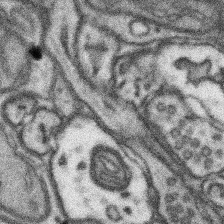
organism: Mouse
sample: Somatosensory cortex neuropil